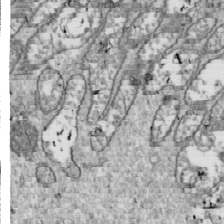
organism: Drosophila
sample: Cell division; meiosis; drosophila spermatocytes